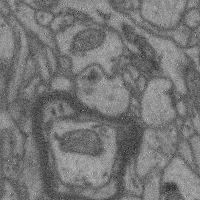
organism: Mouse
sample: Cerebral cortex